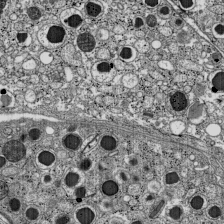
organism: C57BL Mouse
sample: Pancreatic islet